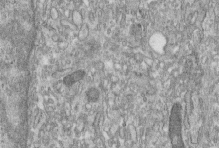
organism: Human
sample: Centriole in fibroblast cells